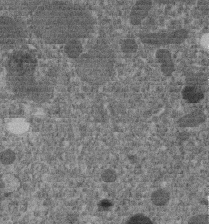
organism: C. elegans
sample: C. elegans embryo early stage